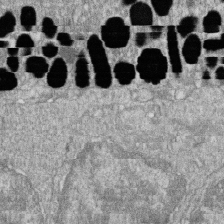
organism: Zebrafish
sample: Cilia; retinal pigment epithelium